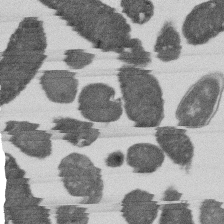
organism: E. coli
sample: Bacterial nucleoid